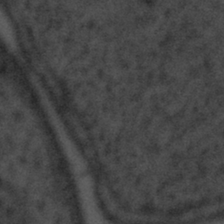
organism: Tuwongella immobilis